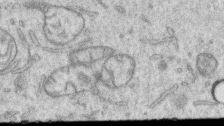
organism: Human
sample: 1205lu cells